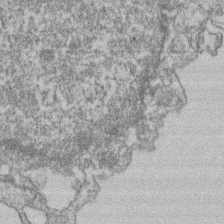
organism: Mouse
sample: T cell stromal cell synapse